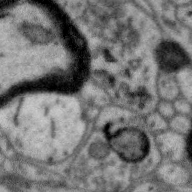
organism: Zebra finch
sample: Brain